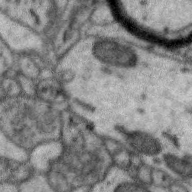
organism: Zebra finch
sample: Brain